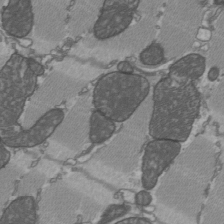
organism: C57BL Mouse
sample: Heart